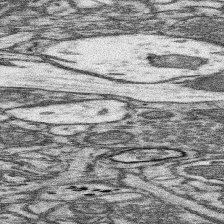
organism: Mouse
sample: Somatosensory cortex neuropil